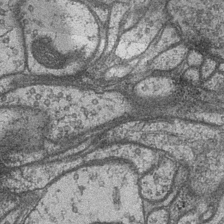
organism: Drosophila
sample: Optic medulla